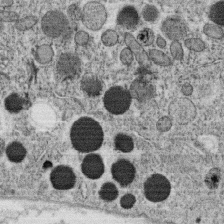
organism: C. elegans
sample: C. elegans oocyte; sperm cells